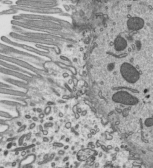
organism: Mouse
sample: Mouse epididymis efferent ductule cilia